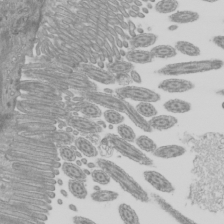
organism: Mouse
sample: Cilia; mouse epididymis